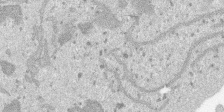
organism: Human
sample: Lung epithelial cells infected with SARS-CoV-2